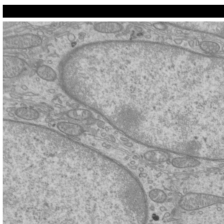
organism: Mouse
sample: Cilia; mouse epididymis